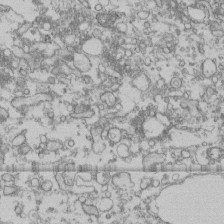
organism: Human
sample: Fibroblast cells